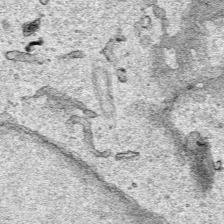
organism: Human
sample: Mitochondria in HCT116 cells